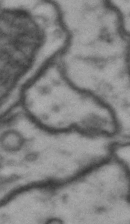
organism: Drosophila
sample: Brain